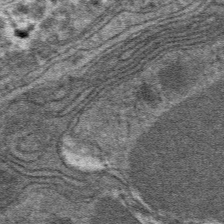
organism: Mouse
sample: Mouse hepatocytes